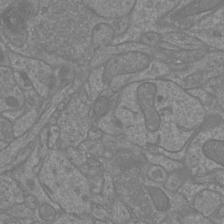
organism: Mouse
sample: Cortical neurons